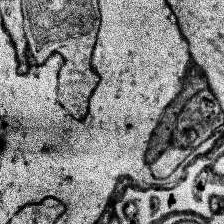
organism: Human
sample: Temporal Lobe